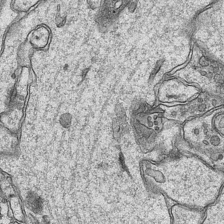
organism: Mouse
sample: CA1 Hippocampus